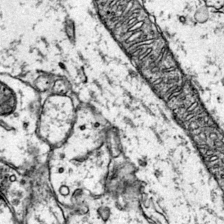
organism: Mouse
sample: Primary visual cortex